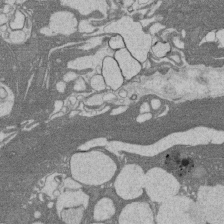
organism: Rat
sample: Salivary granule